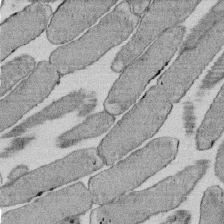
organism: E. coli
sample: Bacterial nucleoid